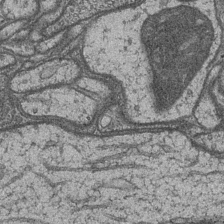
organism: Drosophila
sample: Optic medulla